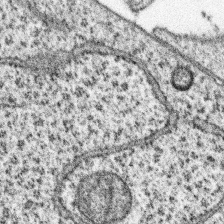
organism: Human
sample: HeLa cells